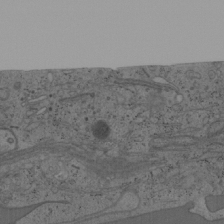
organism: Human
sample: HeLa cells